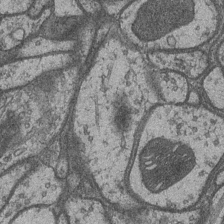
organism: Drosophila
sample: Optic medulla